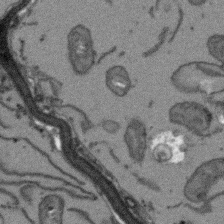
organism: Arabidopsis thaliana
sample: Root tip